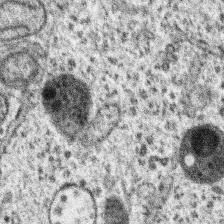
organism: Human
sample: HeLa cells